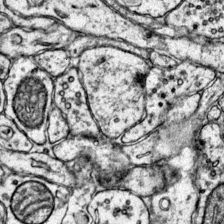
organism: Mouse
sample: Primary visual cortex